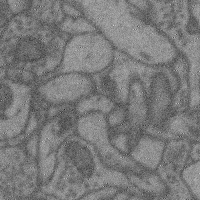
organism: Mouse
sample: Cerebral cortex